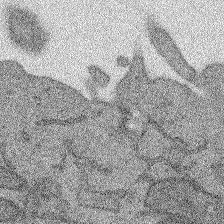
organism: Human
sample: HeLa cells